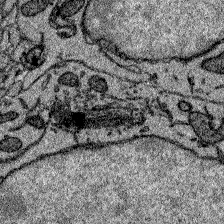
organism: Zebrafish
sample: Larval olfactory bulb